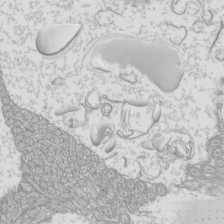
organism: Mouse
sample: Cilia; mouse epididymis